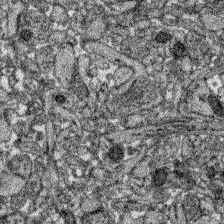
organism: Zebrafish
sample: Larval olfactory bulb